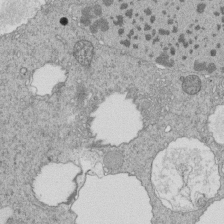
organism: Tetrahymena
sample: Cilia in tetrahymena